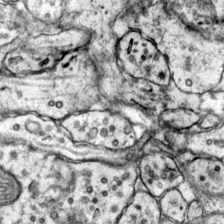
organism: Mouse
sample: Primary visual cortex